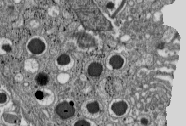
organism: C57BL Mouse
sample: Pancreatic islet